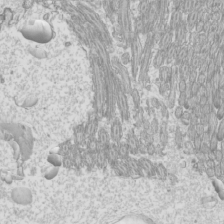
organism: Mouse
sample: Cilia; mouse epididymis